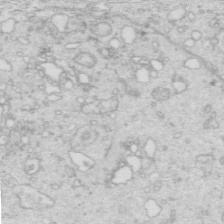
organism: Mouse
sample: Multiciliated cells